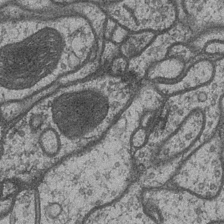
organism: Drosophila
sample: Optic medulla